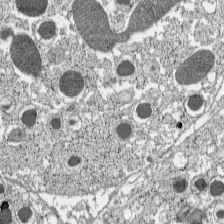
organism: C57BL Mouse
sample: Pancreatic islet